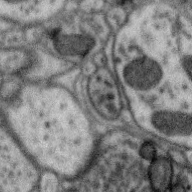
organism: Zebra finch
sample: Brain